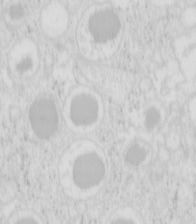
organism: Mouse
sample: Pancreas